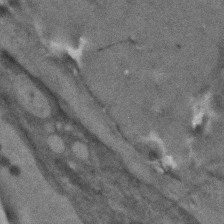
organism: Human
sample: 1205lu cells